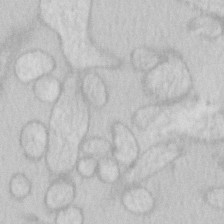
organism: Human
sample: HeLa cells